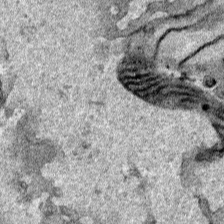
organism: Human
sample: Mitochondria in HCT116 cells